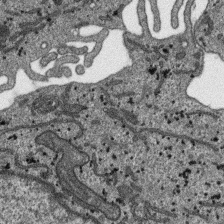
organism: Human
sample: Lung epithelial cells infected with SARS-CoV-2